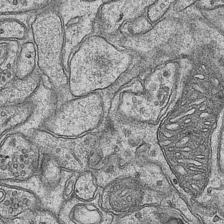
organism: Mouse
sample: CA1 Hippocampus